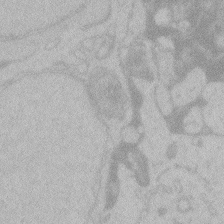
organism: Zebrafish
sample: Macrophage infected with Toxoplasma gondii